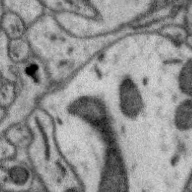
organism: Zebra finch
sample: Brain